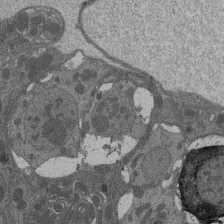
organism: Drosophila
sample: Antenna